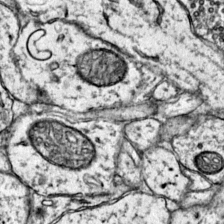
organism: Mouse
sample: Primary visual cortex